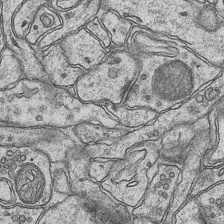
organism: Mouse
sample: CA1 Hippocampus